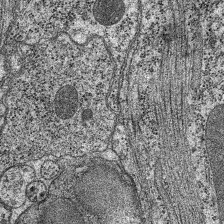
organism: C. elegans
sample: Pharynx